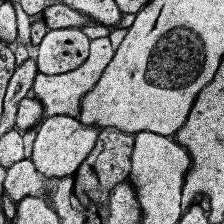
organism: Human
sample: Temporal Lobe